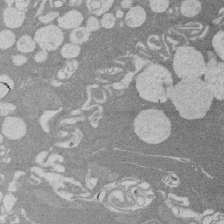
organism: Rat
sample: Salivary granule